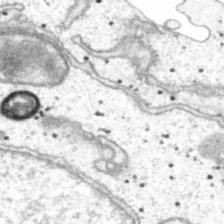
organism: Human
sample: HeLa cells